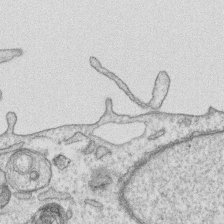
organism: Human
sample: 1205lu cells